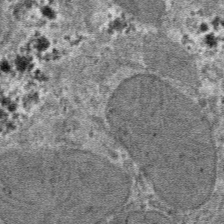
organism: Mouse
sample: Mouse hepatocytes